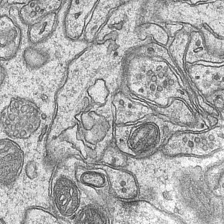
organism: Mouse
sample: CA1 Hippocampus